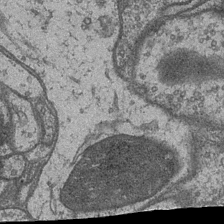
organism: Drosophila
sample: Optic medulla